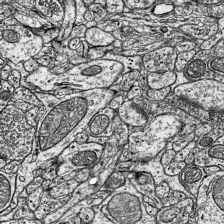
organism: Mouse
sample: Visual Cortex